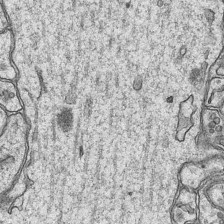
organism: Mouse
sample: CA1 Hippocampus